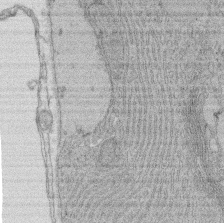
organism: Rat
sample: Salivary granule